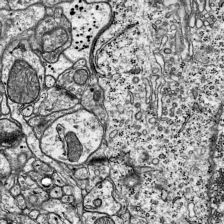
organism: Mouse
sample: Visual Cortex